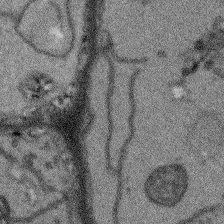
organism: Arabidopsis thaliana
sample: Root tip